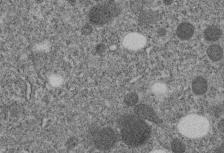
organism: C. elegans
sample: C. elegans embryo early stage